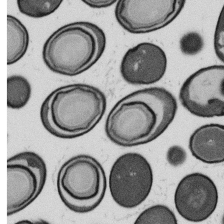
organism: B. subtilis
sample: Bacterial spore